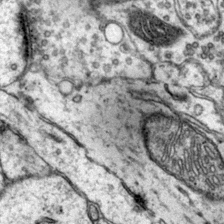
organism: Mouse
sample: Primary visual cortex